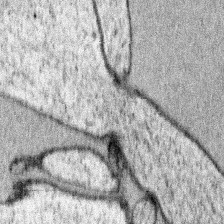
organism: Human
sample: HeLa cells